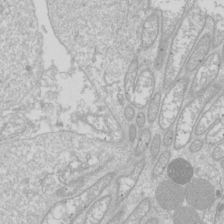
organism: Drosophila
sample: Cell division; meiosis; drosophila spermatocytes